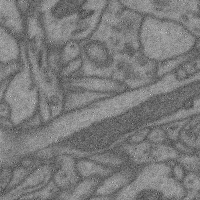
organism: Mouse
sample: Cerebral cortex